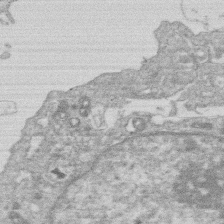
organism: Human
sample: Macrophage cells